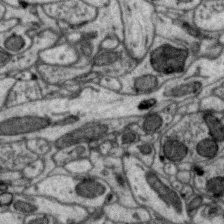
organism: Zebra finch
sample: Brain